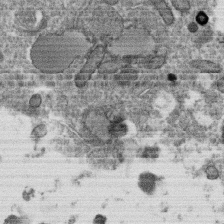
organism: C. elegans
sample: C. elegans oocyte; sperm cells